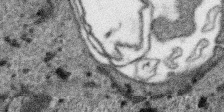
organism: Human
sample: Lung epithelial cells infected with SARS-CoV-2